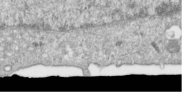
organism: Human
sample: Centriole in RPE cells